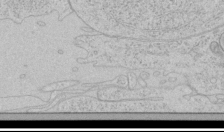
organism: Human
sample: Mitochondria in HCT116 cells